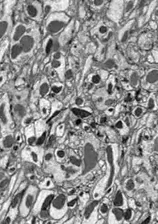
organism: Drosophila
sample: Optic lobe